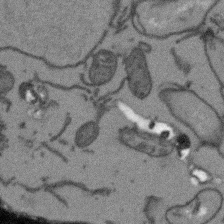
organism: Arabidopsis thaliana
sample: Root tip